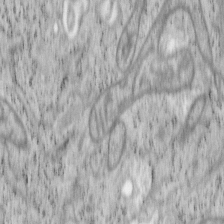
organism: Human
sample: HeLa cells